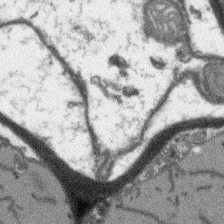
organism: Arabidopsis thaliana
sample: Root tip